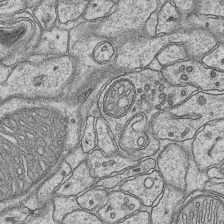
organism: Mouse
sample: CA1 Hippocampus